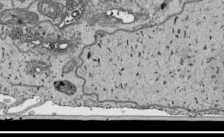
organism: Human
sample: Mitochondria in HCT116 cells